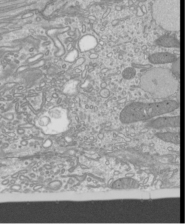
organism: Mouse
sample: Cilia; mouse epididymis